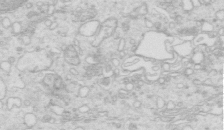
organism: Mouse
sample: Multiciliated cells